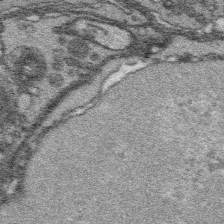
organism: Platynereis dumerilii